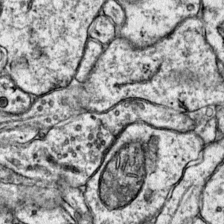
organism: Mouse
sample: Primary visual cortex